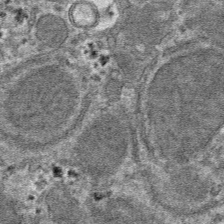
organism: Mouse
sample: Mouse hepatocytes